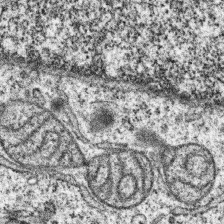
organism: Human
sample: HeLa cells